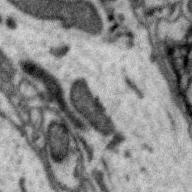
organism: Zebra finch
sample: Brain